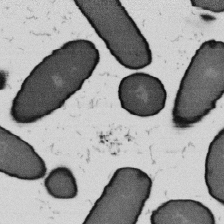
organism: B. subtilis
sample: Bacterial spore